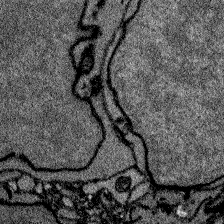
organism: Zebrafish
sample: Larval olfactory bulb